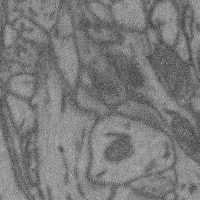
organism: Mouse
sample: Cerebral cortex